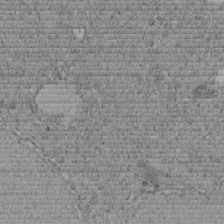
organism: C. elegans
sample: C. elegans embryo early stage